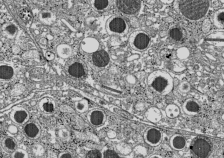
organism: C57BL Mouse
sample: Pancreatic islet